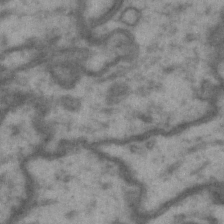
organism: Drosophila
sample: Brain